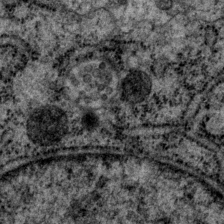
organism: P. pacificus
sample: Pharynx